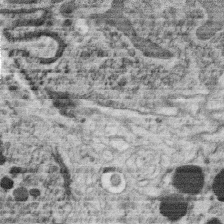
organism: C. elegans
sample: C. elegans oocyte; sperm cells